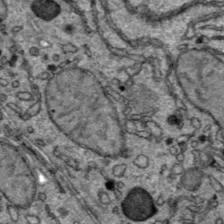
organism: C57BL Mouse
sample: Liver